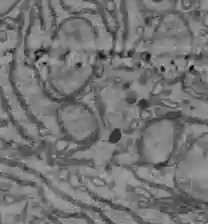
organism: C57BL Mouse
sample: Liver